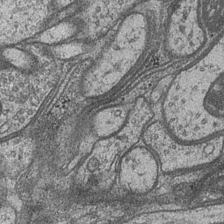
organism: Drosophila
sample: Optic medulla